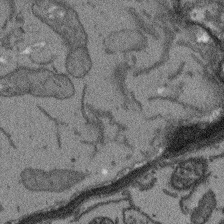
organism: Arabidopsis thaliana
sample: Root tip